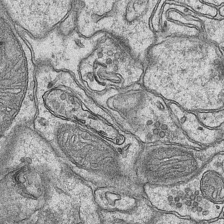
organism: Mouse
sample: CA1 Hippocampus